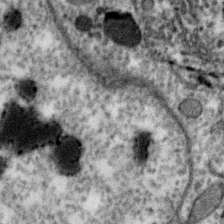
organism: Zebra finch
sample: Brain